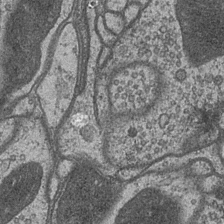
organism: Drosophila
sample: Optic medulla